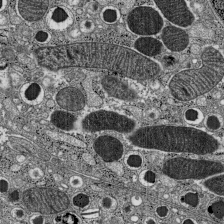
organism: C57BL Mouse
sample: Pancreatic islet